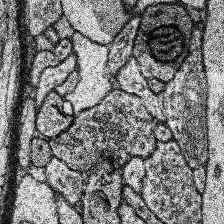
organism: Human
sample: Temporal Lobe